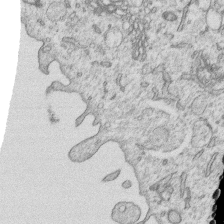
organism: Human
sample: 1205lu cells